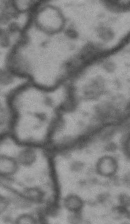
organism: Drosophila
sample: Brain